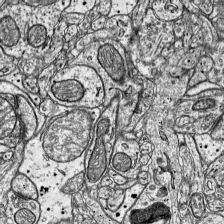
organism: Mouse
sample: Visual Cortex